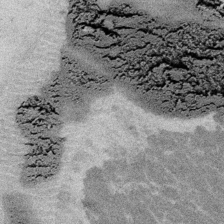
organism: Embia sp.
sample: Silk gland